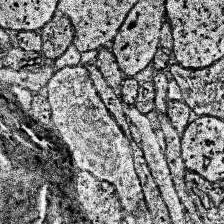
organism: Human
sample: Temporal Lobe